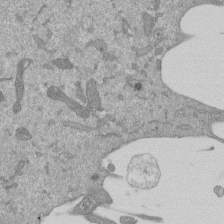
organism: Mouse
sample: ED-1 cell nuclei; centrioles